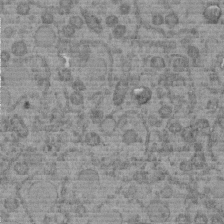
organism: C. elegans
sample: C. elegans embryo early stage